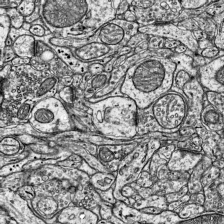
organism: Mouse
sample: Visual Cortex